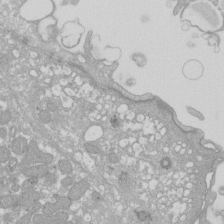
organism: Xenopus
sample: Cilia; centrioles in frog embryo cells